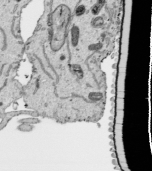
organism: Human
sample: Mitochondria in HCT116 cells